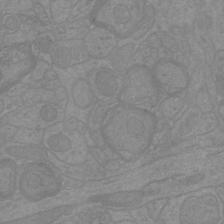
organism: Mouse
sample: Cortical neurons